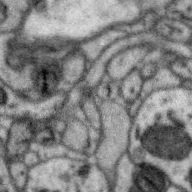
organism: Zebra finch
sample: Brain